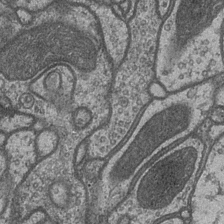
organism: Drosophila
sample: Optic medulla